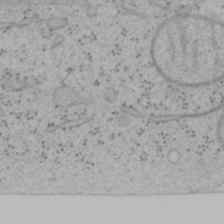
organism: Human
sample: HeLa cells